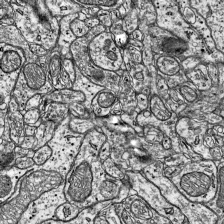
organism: Mouse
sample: Visual Cortex